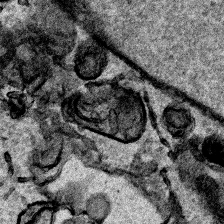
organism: Human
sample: Mitochondria in HCT116 cells